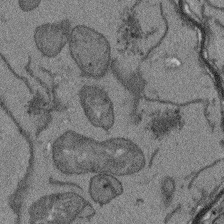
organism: Arabidopsis thaliana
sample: Root tip